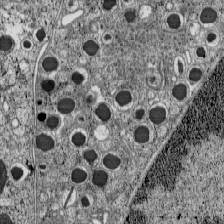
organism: C57BL Mouse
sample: Pancreatic islet